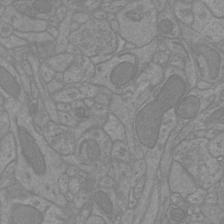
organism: Mouse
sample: Cortical neurons